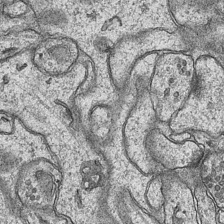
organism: Mouse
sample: CA1 Hippocampus